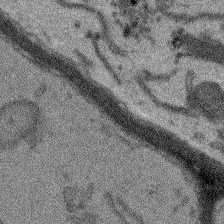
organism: Arabidopsis thaliana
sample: Root tip